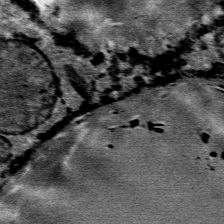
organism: Mouse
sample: Mouse Salivary gland